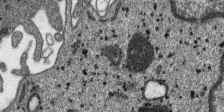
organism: Human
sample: Lung epithelial cells infected with SARS-CoV-2